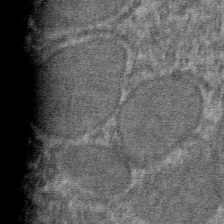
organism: Mouse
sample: Mouse hepatocytes